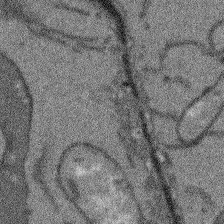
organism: Arabidopsis thaliana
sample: Root tip